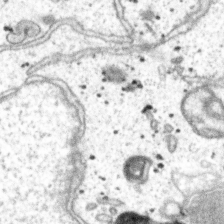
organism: Human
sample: HeLa cells